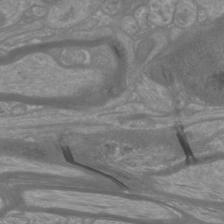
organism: Mouse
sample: Cortical neurons